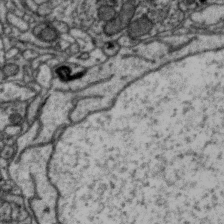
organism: Zebra finch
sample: Brain